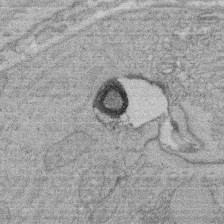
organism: Rat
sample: Salivary granule